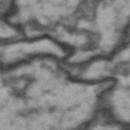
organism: Drosophila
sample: Brain